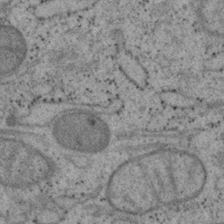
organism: Human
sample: HeLa cells